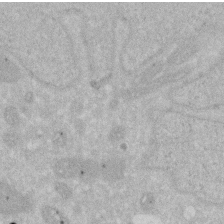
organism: Human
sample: HIV infected U937 cells